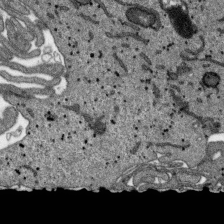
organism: Human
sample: Lung epithelial cells, uninfected (mock) control